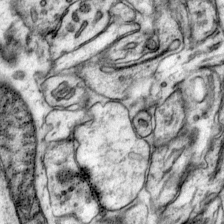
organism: Mouse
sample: Primary visual cortex